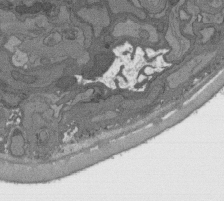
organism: C. elegans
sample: AFD neurons C. elegans